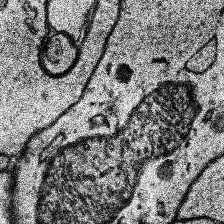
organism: Human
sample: Temporal Lobe